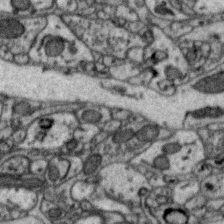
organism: Zebra finch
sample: Brain